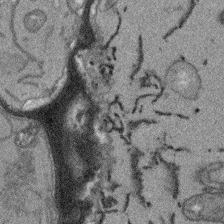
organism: Arabidopsis thaliana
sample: Root tip